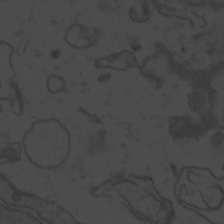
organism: Zebrafish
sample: Macrophage infected with Toxoplasma gondii